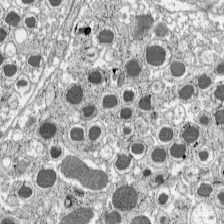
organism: C57BL Mouse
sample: Pancreatic islet